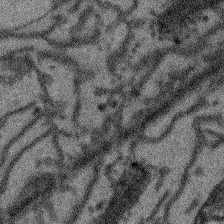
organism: Arabidopsis thaliana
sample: Root tip